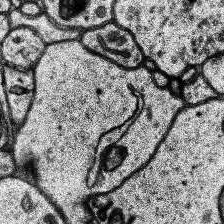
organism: Human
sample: Temporal Lobe